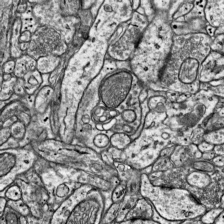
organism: Mouse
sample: Visual Cortex